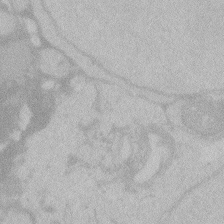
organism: Zebrafish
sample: Macrophage infected with Toxoplasma gondii